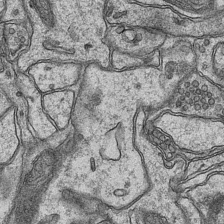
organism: Mouse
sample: CA1 Hippocampus